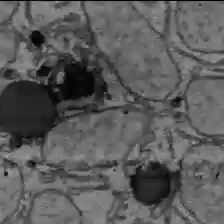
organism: C57BL Mouse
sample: Liver